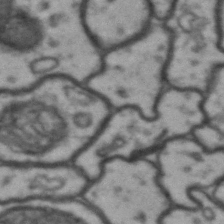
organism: Drosophila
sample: Brain